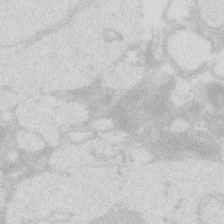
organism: Zebrafish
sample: Macrophage